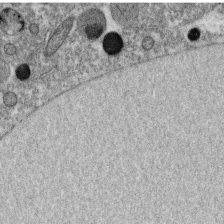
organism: C. elegans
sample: C. elegans oocyte; sperm cells